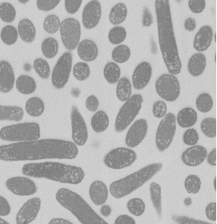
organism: E. coli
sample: Bacterial nucleoid